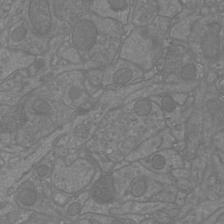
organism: Mouse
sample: Cortical neurons